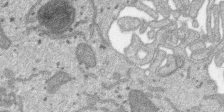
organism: Human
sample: Lung epithelial cells infected with SARS-CoV-2